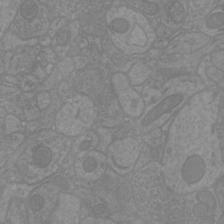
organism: Mouse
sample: Cortical neurons